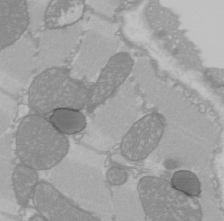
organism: C57BL Mouse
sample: Heart